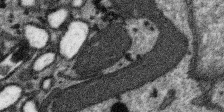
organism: Human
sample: Lung epithelial cells infected with SARS-CoV-2